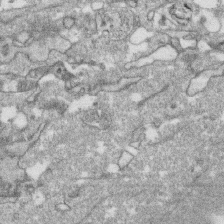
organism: Human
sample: CRL-1474